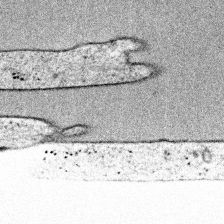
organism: Human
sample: HeLa cells